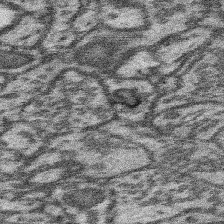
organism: Mouse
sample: Somatosensory cortex neuropil